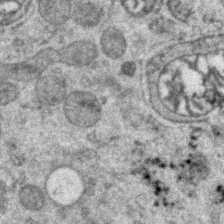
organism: Zebrafish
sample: Zebrafish embryo